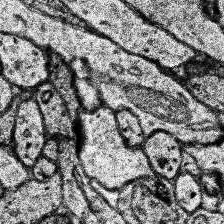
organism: Human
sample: Temporal Lobe